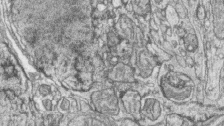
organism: Zebrafish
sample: synaptic ribbons in rod cells and cone cells